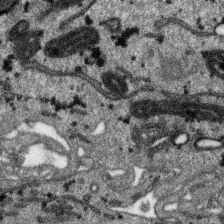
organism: Human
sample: Lung epithelial cells infected with SARS-CoV-2